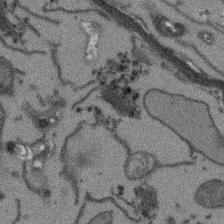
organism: Arabidopsis thaliana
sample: Root tip